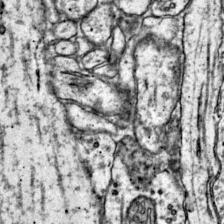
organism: Mouse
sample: Primary visual cortex